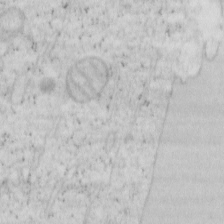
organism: Human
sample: HeLa cells